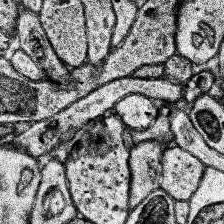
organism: Human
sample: Temporal Lobe